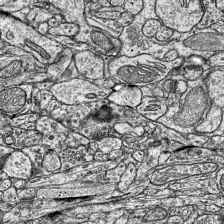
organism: Mouse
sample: Visual Cortex